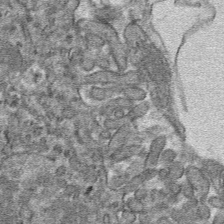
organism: Mouse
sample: Mouse hepatocytes